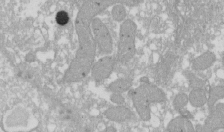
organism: Xenopus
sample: Cilia; centrioles in frog embryo cells